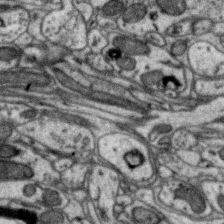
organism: Zebra finch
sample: Brain